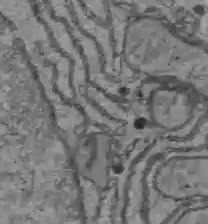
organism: C57BL Mouse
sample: Liver